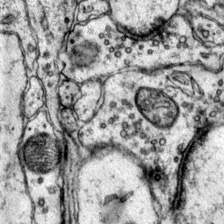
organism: Mouse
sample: Primary visual cortex